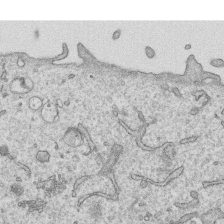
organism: Human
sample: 1205lu cells